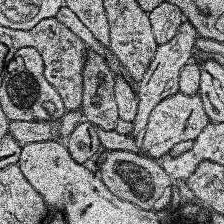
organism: Human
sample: Temporal Lobe